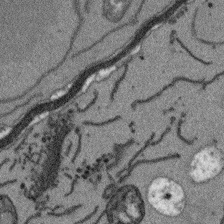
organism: Arabidopsis thaliana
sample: Root tip